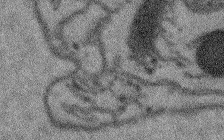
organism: Arabidopsis thaliana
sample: Root tip